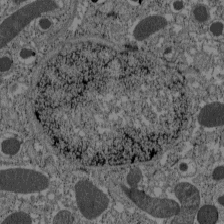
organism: C57BL Mouse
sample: Pancreatic islet